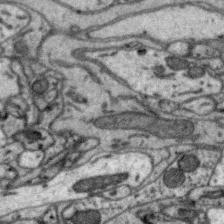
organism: Zebra finch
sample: Brain